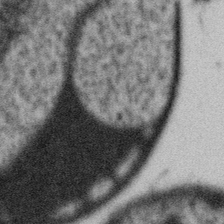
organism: Gemmata obscuriglobus